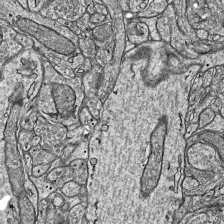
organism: Mouse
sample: Visual Cortex